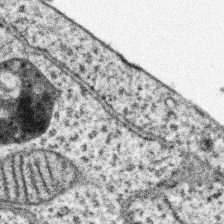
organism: Human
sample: HeLa cells